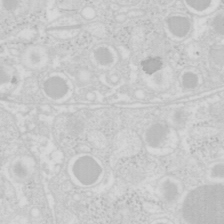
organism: Mouse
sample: Pancreas